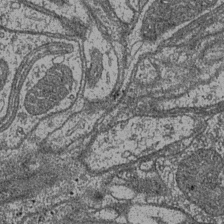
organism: Drosophila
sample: Optic medulla